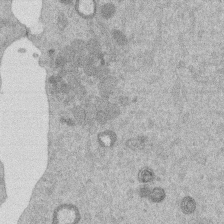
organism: Mouse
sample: Dividing mouse embryo 1 cell stage